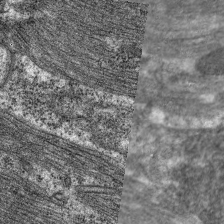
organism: C. elegans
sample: Pharynx